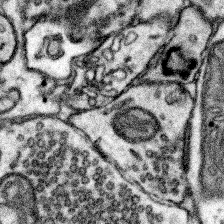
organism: Mouse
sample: Somatosensory cortex neuropil